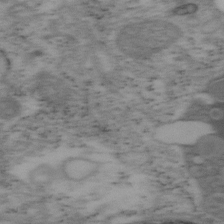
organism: Mouse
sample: OT-I killer T cells with ID8 ovarian cancer cells